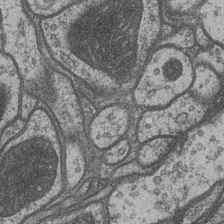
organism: Drosophila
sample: Optic medulla